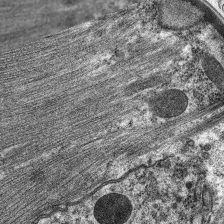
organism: C. elegans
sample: Pharynx